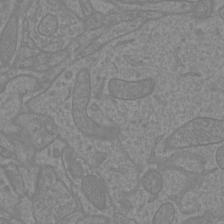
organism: Mouse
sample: Cortical neurons